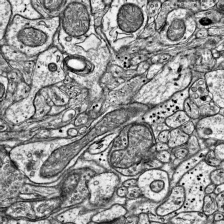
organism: Mouse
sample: Visual Cortex